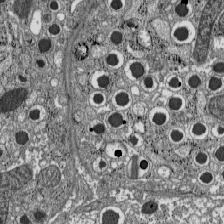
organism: C57BL Mouse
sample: Pancreatic islet